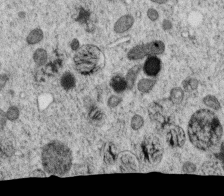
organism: C. elegans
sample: C. elegans oocyte; sperm cells